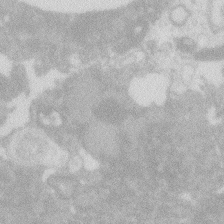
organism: Zebrafish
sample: Macrophage